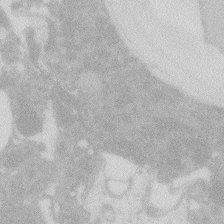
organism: Zebrafish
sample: Macrophage